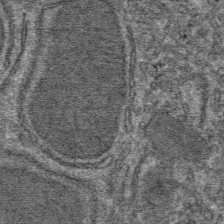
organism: Mouse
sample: Mouse hepatocytes